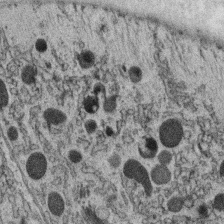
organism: C. elegans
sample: C. elegans oocyte; sperm cells